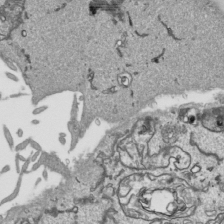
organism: Human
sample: Mitochondria in HCT116 cells